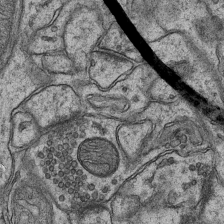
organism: Mouse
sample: CA1 Hippocampus